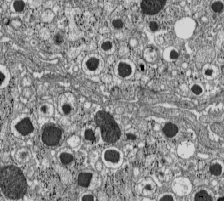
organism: C57BL Mouse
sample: Pancreatic islet